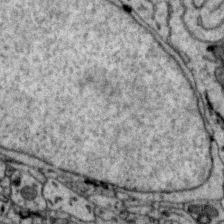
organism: Zebra finch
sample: Brain